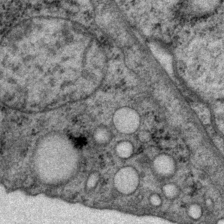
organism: P. pacificus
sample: Pharynx